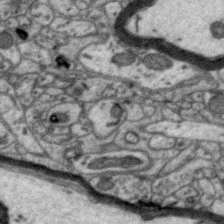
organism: Zebra finch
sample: Brain